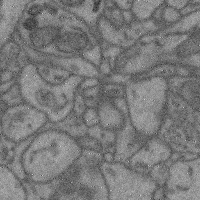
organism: Mouse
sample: Cerebral cortex